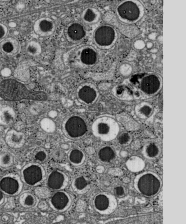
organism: C57BL Mouse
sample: Pancreatic islet